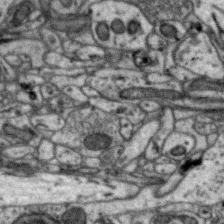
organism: Zebra finch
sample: Brain